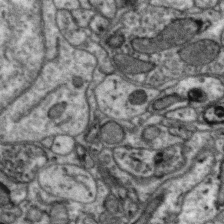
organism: Zebra finch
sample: Brain